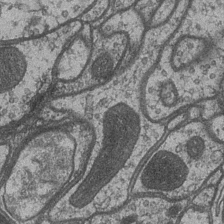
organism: Drosophila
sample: Optic medulla